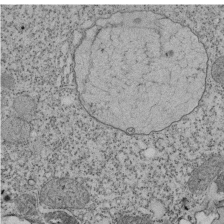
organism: Tetrahymena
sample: Cilia in tetrahymena